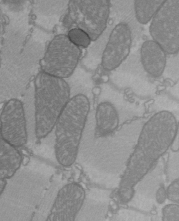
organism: C57BL Mouse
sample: Heart